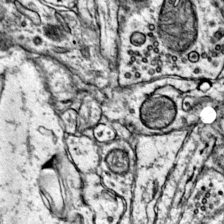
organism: Mouse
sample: Primary visual cortex